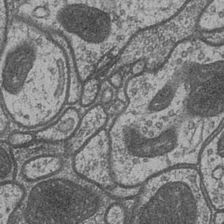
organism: Drosophila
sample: Optic medulla